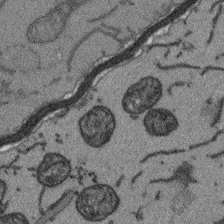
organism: Arabidopsis thaliana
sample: Root tip